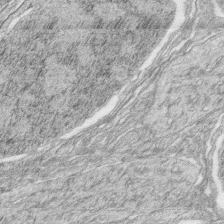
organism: Zebrafish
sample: synaptic ribbons in rod cells and cone cells